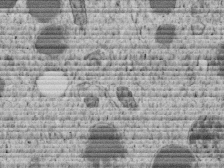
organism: C. elegans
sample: C. elegans embryo early stage